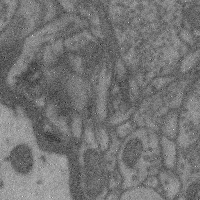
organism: Mouse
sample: Cerebral cortex